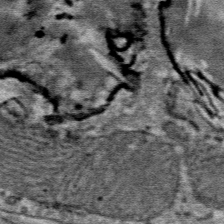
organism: Mouse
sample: Mouse Salivary gland